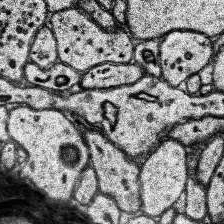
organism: Human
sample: Temporal Lobe